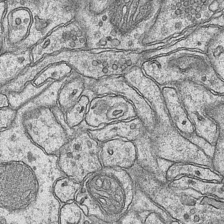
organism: Mouse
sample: CA1 Hippocampus